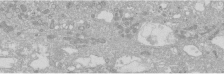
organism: Human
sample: Caco-2 cells